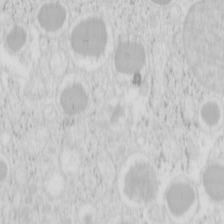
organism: Mouse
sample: Pancreas